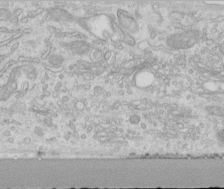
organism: Human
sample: Centriole in RPE cells